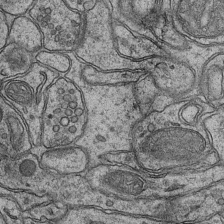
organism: Mouse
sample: CA1 Hippocampus